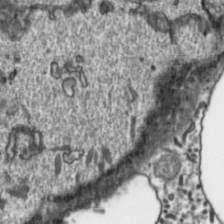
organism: Toxoplasma gondii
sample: Parasites in a vacuole inside a host cell